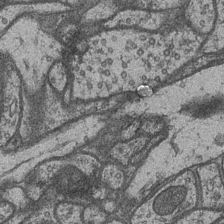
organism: Drosophila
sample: Optic medulla